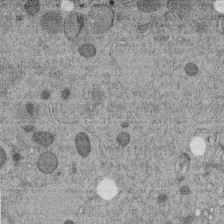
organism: C. elegans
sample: C. elegans embryo early stage